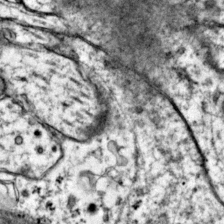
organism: Mouse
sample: Primary visual cortex